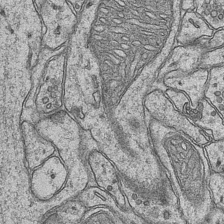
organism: Mouse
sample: CA1 Hippocampus